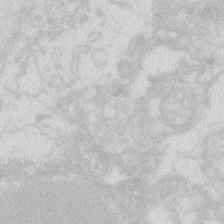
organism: Zebrafish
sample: Macrophage